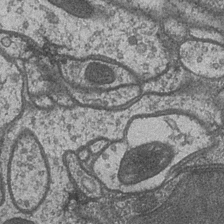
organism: Drosophila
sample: Optic medulla